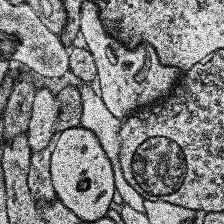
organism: Human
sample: Temporal Lobe